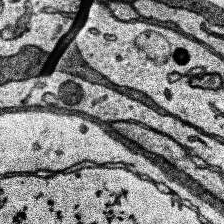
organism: Human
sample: Temporal Lobe